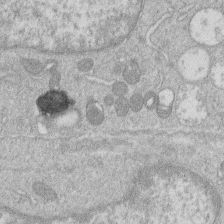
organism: Human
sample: Macrophage cells